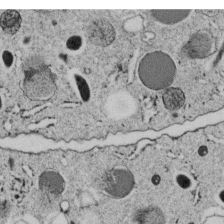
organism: C. elegans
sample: C. elegans embryo early stage